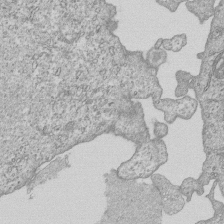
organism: Human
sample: MDA-MB-231 cells